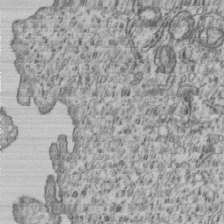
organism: Human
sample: MDA-MB-231 cells